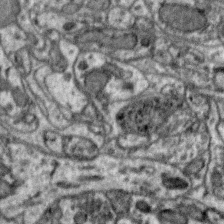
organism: Zebra finch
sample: Brain